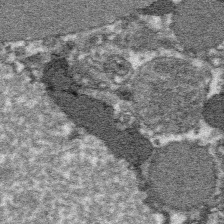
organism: Platynereis dumerilii